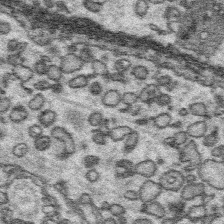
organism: Platynereis dumerilii